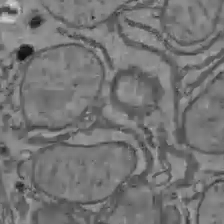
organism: C57BL Mouse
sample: Liver